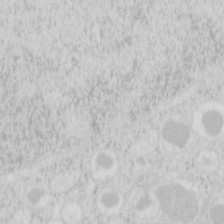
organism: Mouse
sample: Pancreas